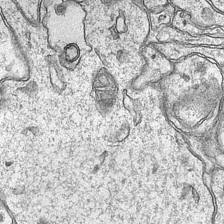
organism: Mouse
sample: CA1 Hippocampus